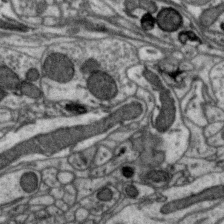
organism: Zebra finch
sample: Brain